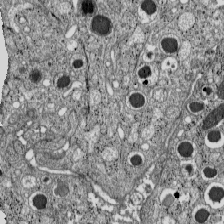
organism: C57BL Mouse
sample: Pancreatic islet